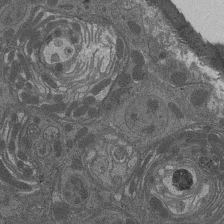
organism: Drosophila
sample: Antenna